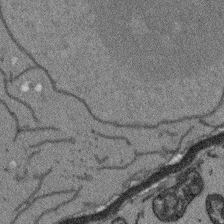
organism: Arabidopsis thaliana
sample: Root tip